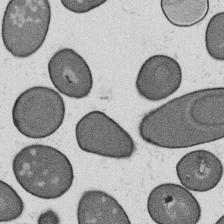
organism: B. subtilis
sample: Bacterial spore